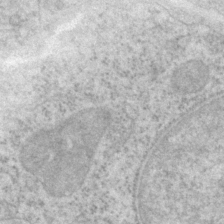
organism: P. pacificus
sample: Pharynx